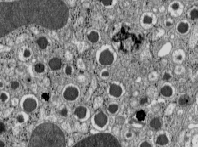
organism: C57BL Mouse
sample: Pancreatic islet